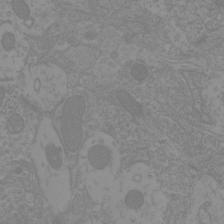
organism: Mouse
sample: Cortical neurons